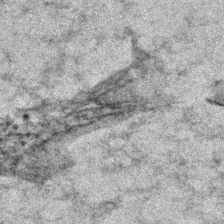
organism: Zebrafish